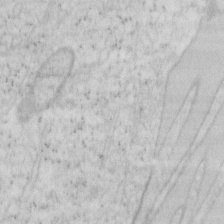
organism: Human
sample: HeLa cells